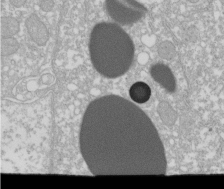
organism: Xenopus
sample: Cilia; centrioles in frog embryo cells